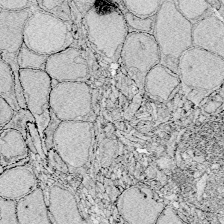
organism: Zebrafish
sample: Whole-Brain